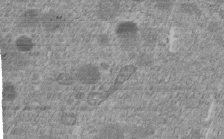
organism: C. elegans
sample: C. elegans embryo early stage